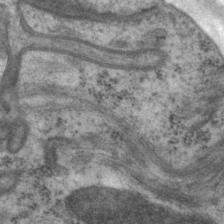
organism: P. pacificus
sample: Pharynx